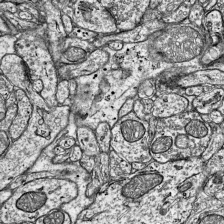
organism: Mouse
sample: Visual Cortex